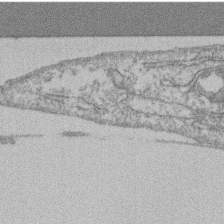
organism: Mouse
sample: T cell stromal cell synapse